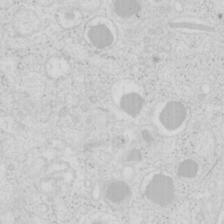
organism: Mouse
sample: Pancreas